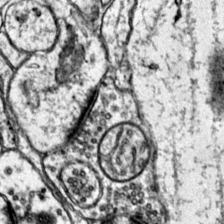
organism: Mouse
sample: Primary visual cortex